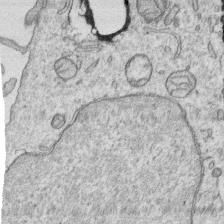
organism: Human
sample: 1205lu cells